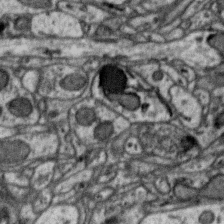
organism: Zebra finch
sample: Brain